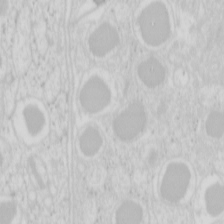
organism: Mouse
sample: Pancreas